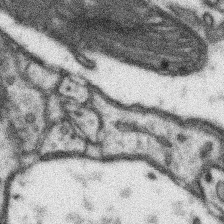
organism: Mouse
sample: Somatosensory cortex neuropil